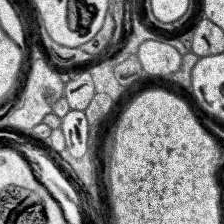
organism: Human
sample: Temporal Lobe